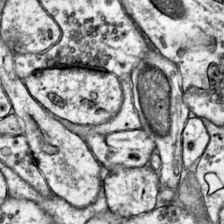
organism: Mouse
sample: Primary visual cortex